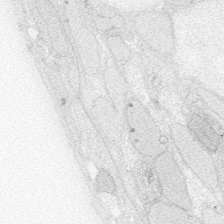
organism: Zebrafish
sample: Whole-Brain